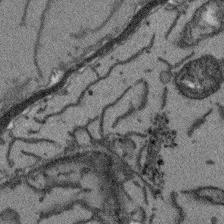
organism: Arabidopsis thaliana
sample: Root tip